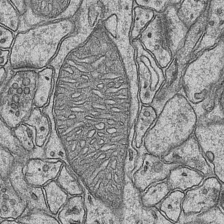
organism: Mouse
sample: CA1 Hippocampus